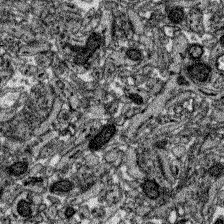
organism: Zebrafish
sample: Larval olfactory bulb